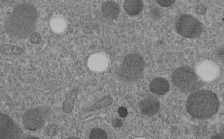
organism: C. elegans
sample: C. elegans embryo early stage